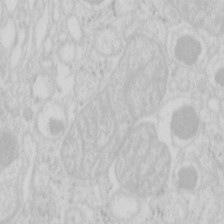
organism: Mouse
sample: Pancreas